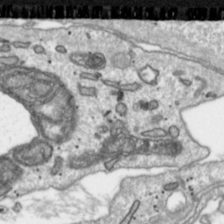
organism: Toxoplasma gondii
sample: Parasites in a vacuole inside a host cell